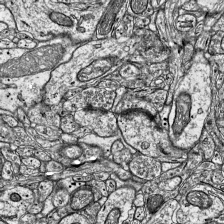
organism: Mouse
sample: Visual Cortex